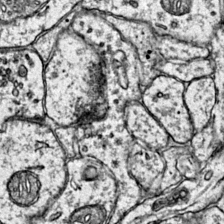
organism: Mouse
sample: Primary visual cortex